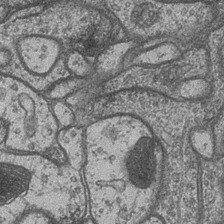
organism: Drosophila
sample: Optic medulla